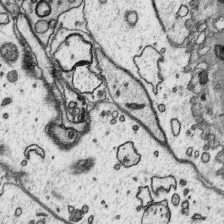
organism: Platynereis dumerilii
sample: Parapodia